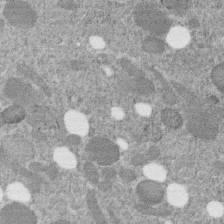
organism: C. elegans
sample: C. elegans embryo early stage